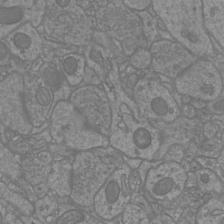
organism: Mouse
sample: Cortical neurons